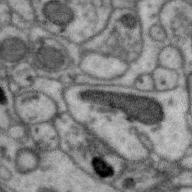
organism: Zebra finch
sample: Brain